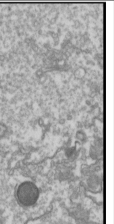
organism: Drosophila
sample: Cell division; meiosis; drosophila spermatocytes